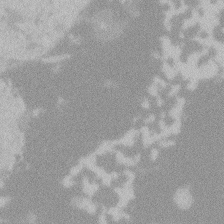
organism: Zebrafish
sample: Macrophage infected with Toxoplasma gondii